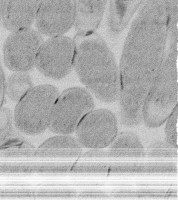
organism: E. coli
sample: Bacterial nucleoid